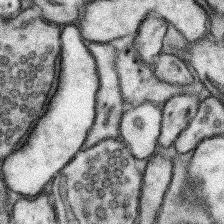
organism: Mouse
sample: Somatosensory cortex neuropil